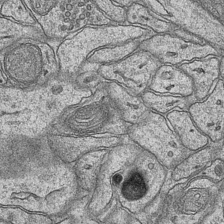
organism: Mouse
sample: CA1 Hippocampus